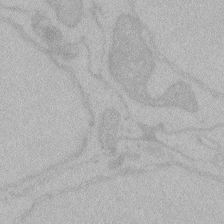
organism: Zebrafish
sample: Macrophage infected with Toxoplasma gondii